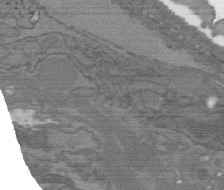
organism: C. elegans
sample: AFD neurons C. elegans